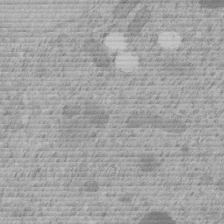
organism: C. elegans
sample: C. elegans embryo early stage